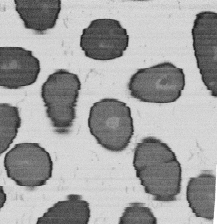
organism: B. subtilis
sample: Bacterial spore